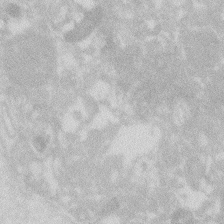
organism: Zebrafish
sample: Macrophage